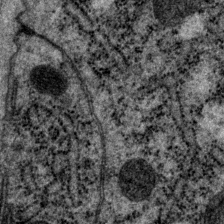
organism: P. pacificus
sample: Pharynx